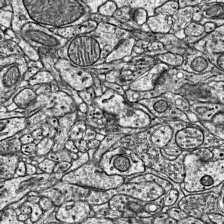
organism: Mouse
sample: Visual Cortex